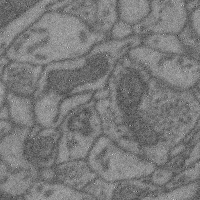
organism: Mouse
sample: Cerebral cortex